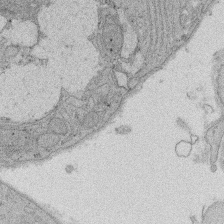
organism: Rat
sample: Salivary granule